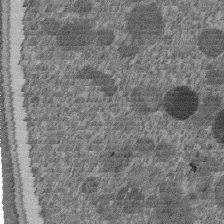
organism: C. elegans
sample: C. elegans embryo early stage